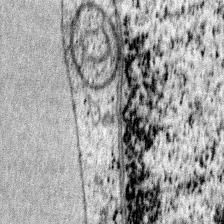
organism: Human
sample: HeLa cells